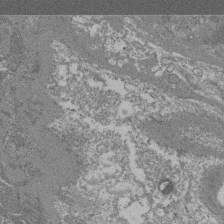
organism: Mouse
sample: Glomerulus